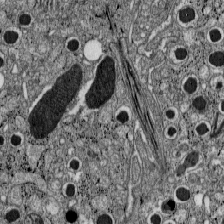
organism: C57BL Mouse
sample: Pancreatic islet